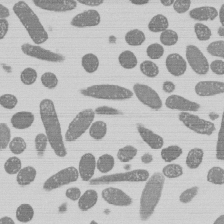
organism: E. coli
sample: Bacterial nucleoid